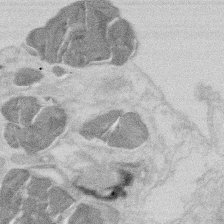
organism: Mouse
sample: T cell stromal cell synapse